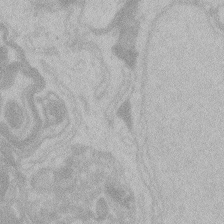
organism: Zebrafish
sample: Macrophage infected with Toxoplasma gondii